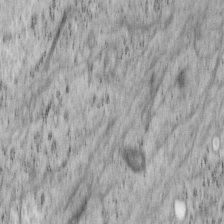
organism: Human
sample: HeLa cells